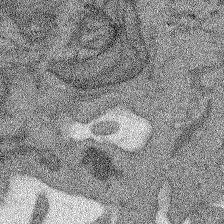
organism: Human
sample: HeLa cells